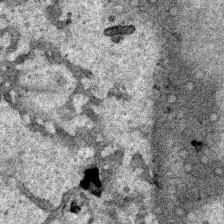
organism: Human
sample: Mitochondria in HCT116 cells